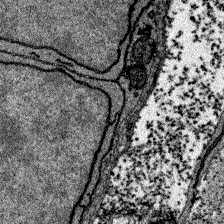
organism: Zebrafish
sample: Larval olfactory bulb